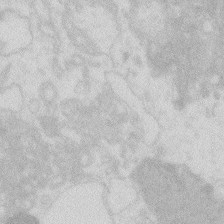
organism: Zebrafish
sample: Macrophage